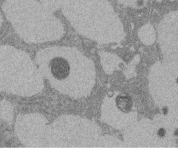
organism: Rat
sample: Salivary granule